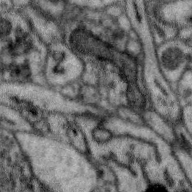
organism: Zebra finch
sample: Brain